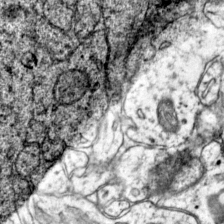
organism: Mouse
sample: Primary visual cortex